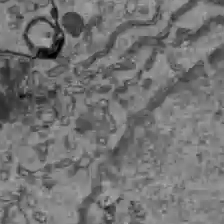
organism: C57BL Mouse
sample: Liver